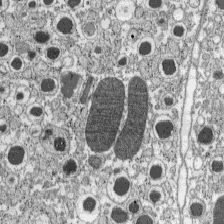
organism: C57BL Mouse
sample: Pancreatic islet